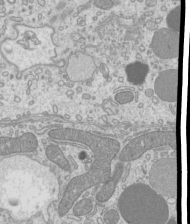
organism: Mouse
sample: Cilia; mouse epididymis